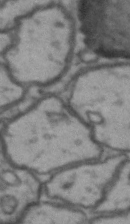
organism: Drosophila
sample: Brain